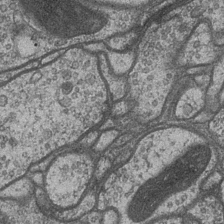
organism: Drosophila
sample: Optic medulla